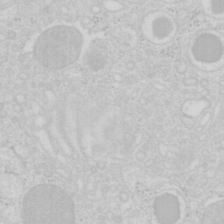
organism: Mouse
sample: Pancreas